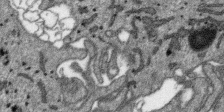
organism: Human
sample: Lung epithelial cells, uninfected (mock) control